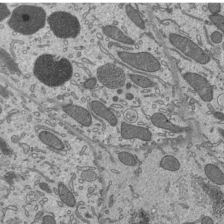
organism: Mouse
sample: Mouse epididymis efferent ductule cilia